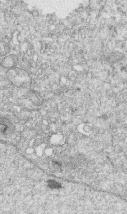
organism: Human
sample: HeLa cell HIV synapse